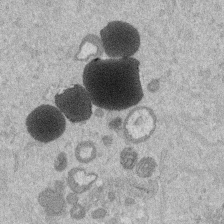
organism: Mouse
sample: Dividing mouse embryo 1 cell stage